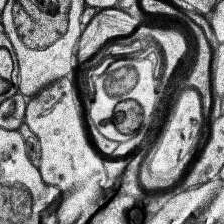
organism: Human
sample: Temporal Lobe